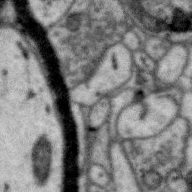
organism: Zebra finch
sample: Brain